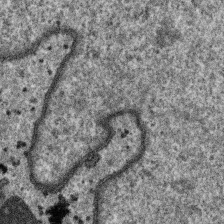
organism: Human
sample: Lung epithelial cells infected with SARS-CoV-2